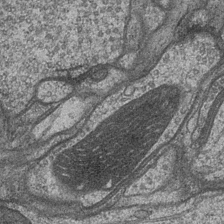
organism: Drosophila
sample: Optic medulla